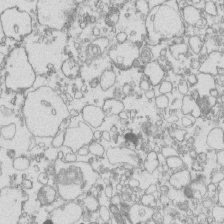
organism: Mouse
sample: Macrophages